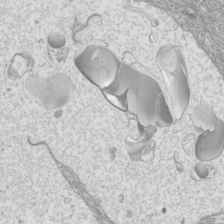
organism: Mouse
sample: Cilia; mouse epididymis